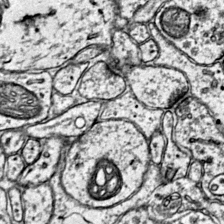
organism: Mouse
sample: Primary visual cortex